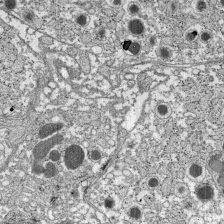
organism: C57BL Mouse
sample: Pancreatic islet